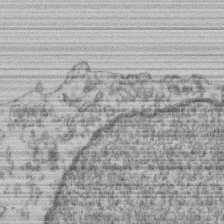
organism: Mouse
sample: T cell stromal cell synapse